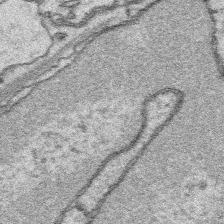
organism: Platynereis dumerilii